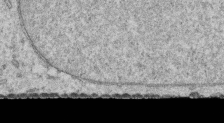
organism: Human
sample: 1205lu cells